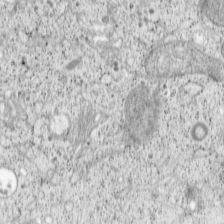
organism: African green monkey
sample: COS-7 cells